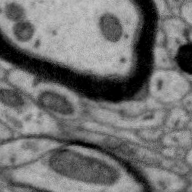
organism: Zebra finch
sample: Brain